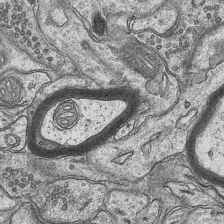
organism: Mouse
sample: CA1 Hippocampus